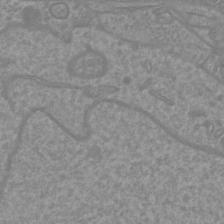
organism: Mouse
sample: Cortical neurons